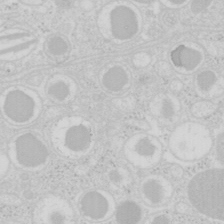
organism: Mouse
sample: Pancreas